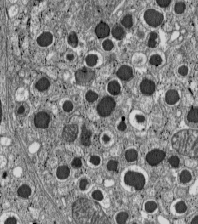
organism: C57BL Mouse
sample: Pancreatic islet